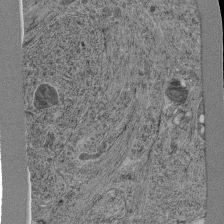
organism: C. elegans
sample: C. elegans pharynx